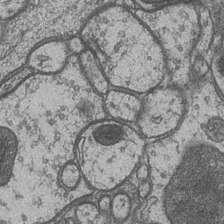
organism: Drosophila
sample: Optic medulla